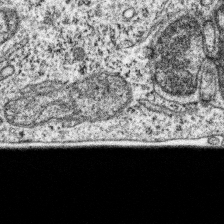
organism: Human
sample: HeLa cells